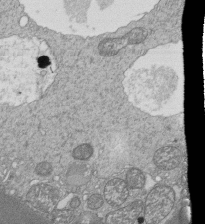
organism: Tetrahymena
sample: Cilia in tetrahymena